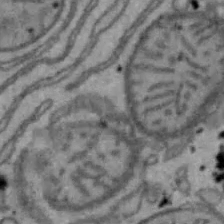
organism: Mouse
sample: Liver